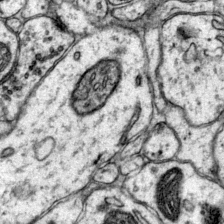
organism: Mouse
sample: Primary visual cortex